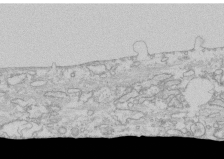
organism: Human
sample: CRL-1474